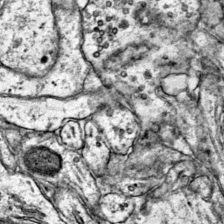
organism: Mouse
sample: Primary visual cortex